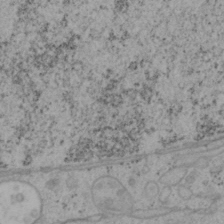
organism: Human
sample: HeLa cells